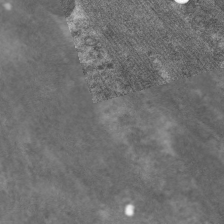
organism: C. elegans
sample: Pharynx